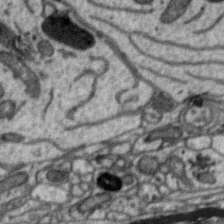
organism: Zebra finch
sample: Brain